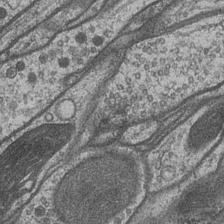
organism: Drosophila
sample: Optic medulla